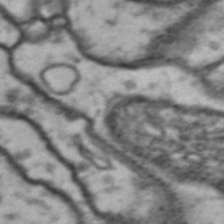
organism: Drosophila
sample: Brain